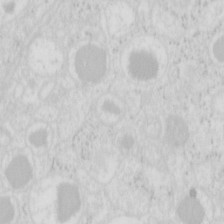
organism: Mouse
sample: Pancreas